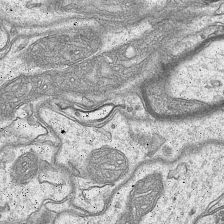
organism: Mouse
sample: CA1 Hippocampus